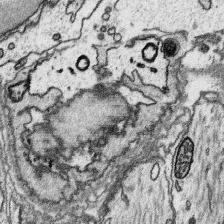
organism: Platynereis dumerilii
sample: Parapodia